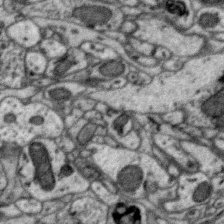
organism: Zebra finch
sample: Brain